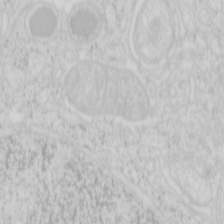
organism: Mouse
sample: Pancreas